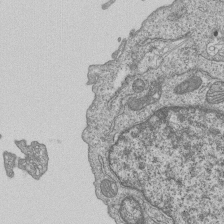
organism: Human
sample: MDA-MB-231 cells